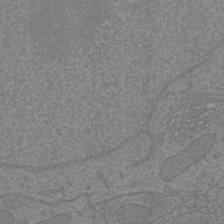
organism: Mouse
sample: Cortical neurons